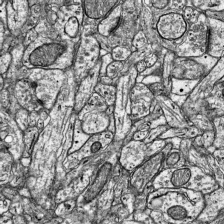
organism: Mouse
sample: Visual Cortex